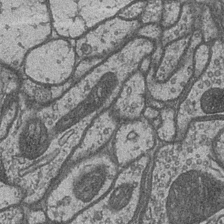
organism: Drosophila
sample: Optic medulla